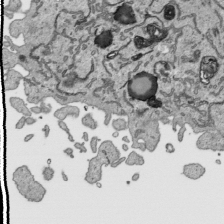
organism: Human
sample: Mitochondria in HCT116 cells